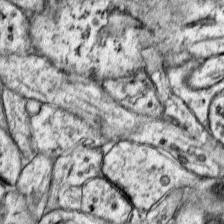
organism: Mouse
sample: Primary visual cortex